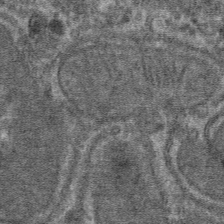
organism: Mouse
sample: Mouse hepatocytes